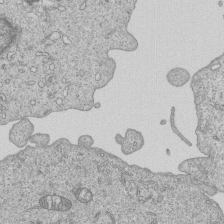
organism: Human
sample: MDA-MB-231 cells